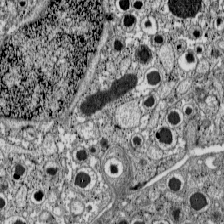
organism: C57BL Mouse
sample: Pancreatic islet